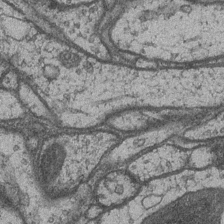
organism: Drosophila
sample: Optic medulla